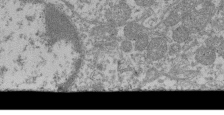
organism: Mouse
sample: Glomerulus